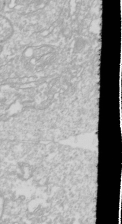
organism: Drosophila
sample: Cell division; meiosis; drosophila spermatocytes